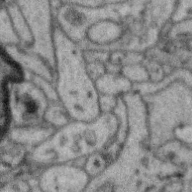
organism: Zebra finch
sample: Brain